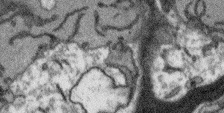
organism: Arabidopsis thaliana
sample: Root tip